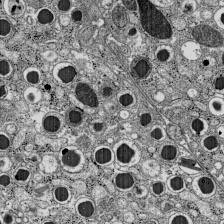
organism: C57BL Mouse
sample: Pancreatic islet